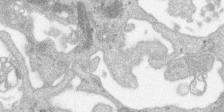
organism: Human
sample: Lung epithelial cells infected with SARS-CoV-2